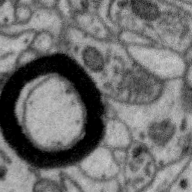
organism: Zebra finch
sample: Brain